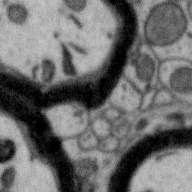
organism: Zebra finch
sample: Brain